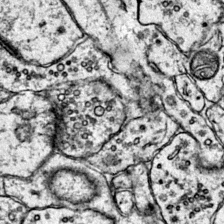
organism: Mouse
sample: Primary visual cortex